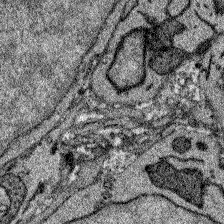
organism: Zebrafish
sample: Larval olfactory bulb